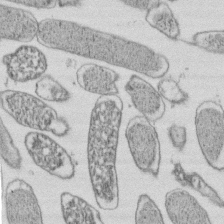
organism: E. coli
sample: Bacterial nucleoid